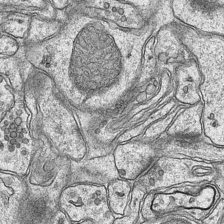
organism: Mouse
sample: CA1 Hippocampus